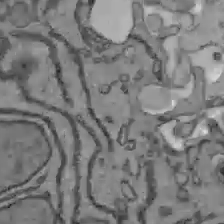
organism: C57BL Mouse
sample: Liver